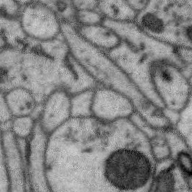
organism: Zebra finch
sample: Brain